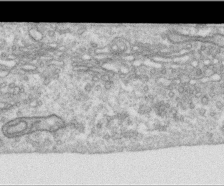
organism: Human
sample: Centriole in RPE cells